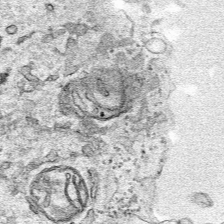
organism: Human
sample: Mitochondria in HCT116 cells